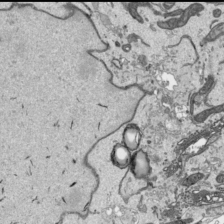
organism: Human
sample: Mitochondria in HCT116 cells